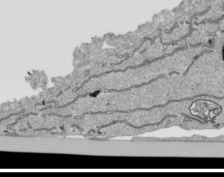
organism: Human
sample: Mitochondria in HCT116 cells